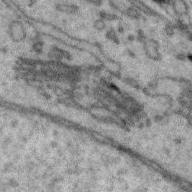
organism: Zebra finch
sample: Brain